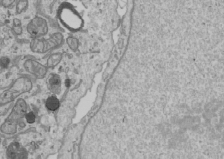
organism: Human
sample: Mitochondria in U2OS cells